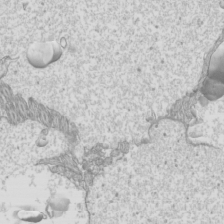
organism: Mouse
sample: Cilia; mouse epididymis